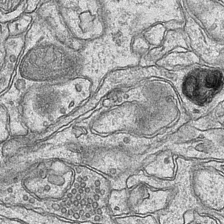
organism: Mouse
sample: CA1 Hippocampus